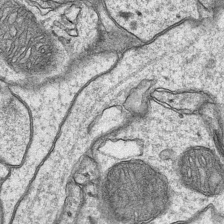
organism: Mouse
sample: CA1 Hippocampus